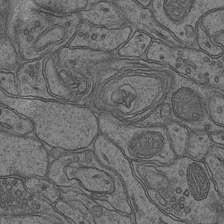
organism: Mouse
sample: CA1 Hippocampus